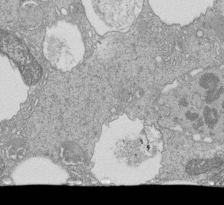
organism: Tetrahymena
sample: Cilia in tetrahymena